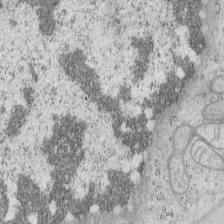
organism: Mouse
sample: OT-I killer T cells with ID8 ovarian cancer cells